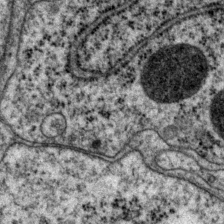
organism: P. pacificus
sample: Pharynx